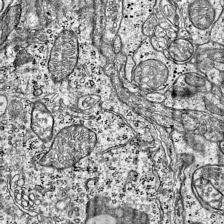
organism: Mouse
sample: Visual Cortex